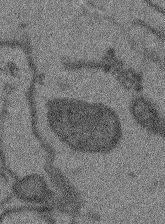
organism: Arabidopsis thaliana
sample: Root tip